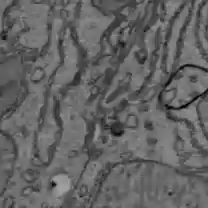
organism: C57BL Mouse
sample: Liver